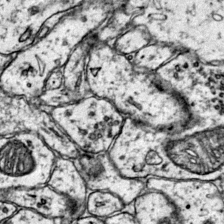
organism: Mouse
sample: Primary visual cortex